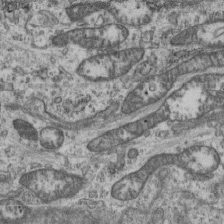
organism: Mouse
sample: Centriole in ependymal cells